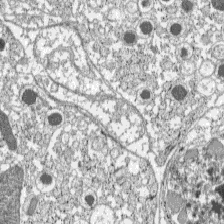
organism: C57BL Mouse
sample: Pancreatic islet